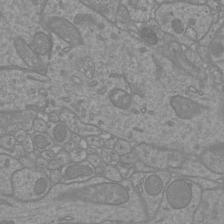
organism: Mouse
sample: Cortical neurons